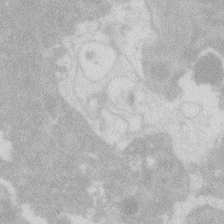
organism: Zebrafish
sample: Macrophage